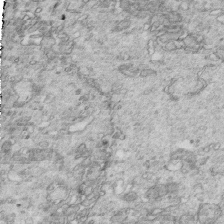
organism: Mouse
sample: Multiciliated cells